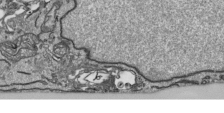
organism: Human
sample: Mitochondria in HCT116 cells